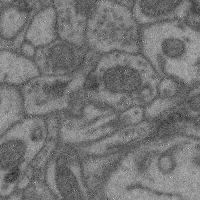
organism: Mouse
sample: Cerebral cortex